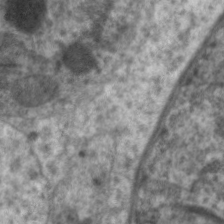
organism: C. elegans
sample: Pharynx